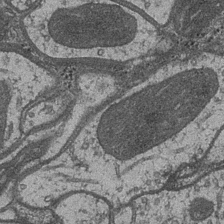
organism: Drosophila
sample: Optic medulla